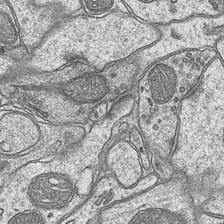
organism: Mouse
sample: CA1 Hippocampus